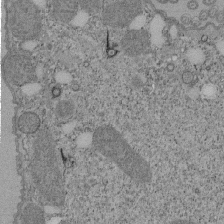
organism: Tetrahymena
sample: Cilia in tetrahymena